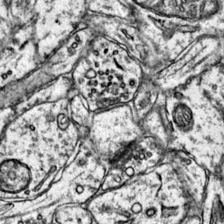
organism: Mouse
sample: Primary visual cortex